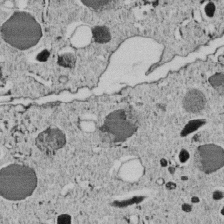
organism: C. elegans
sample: C. elegans embryo early stage